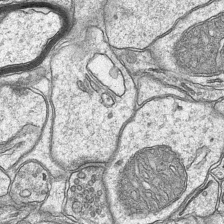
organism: Mouse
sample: CA1 Hippocampus